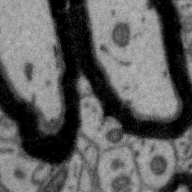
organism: Zebra finch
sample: Brain